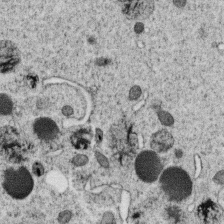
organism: C. elegans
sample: C. elegans oocyte; sperm cells